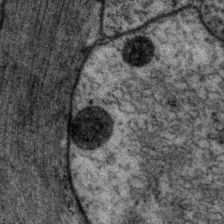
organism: P. pacificus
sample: Pharynx